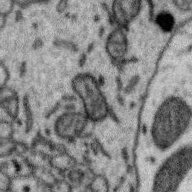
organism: Zebra finch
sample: Brain